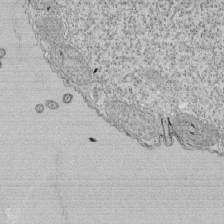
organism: Tetrahymena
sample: Cilia in tetrahymena